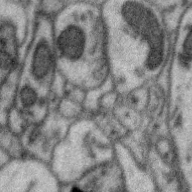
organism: Zebra finch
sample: Brain